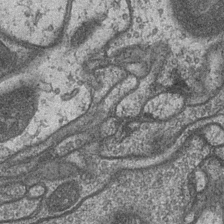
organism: Drosophila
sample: Optic medulla